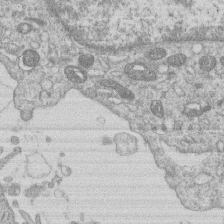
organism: Human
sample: Macrophage cells